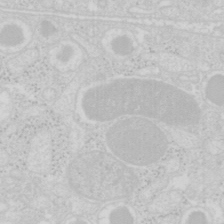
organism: Mouse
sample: Pancreas